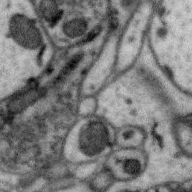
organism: Zebra finch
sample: Brain